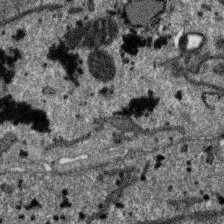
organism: Human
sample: Lung epithelial cells infected with SARS-CoV-2